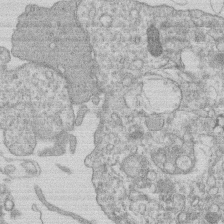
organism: Human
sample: Macrophage cells